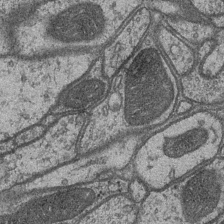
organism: Drosophila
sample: Optic medulla